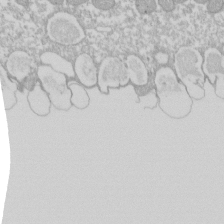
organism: Xenopus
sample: Cilia; centrioles in frog embryo cells